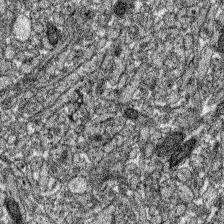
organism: Zebrafish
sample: Larval olfactory bulb